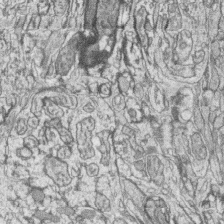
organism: Zebrafish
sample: synaptic ribbons in rod cells and cone cells